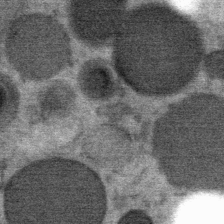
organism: Mouse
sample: Mouse Salivary gland